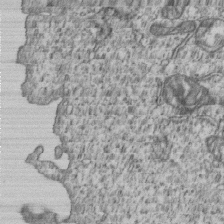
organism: Human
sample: MDA-MB-231 cells